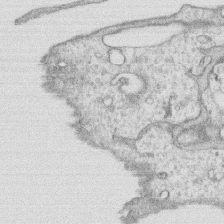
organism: Human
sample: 1205lu cells